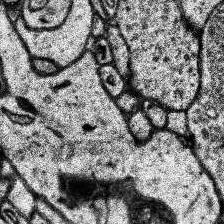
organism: Human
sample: Temporal Lobe